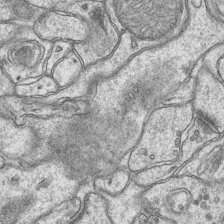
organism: Mouse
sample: CA1 Hippocampus